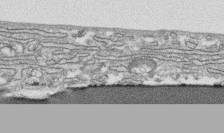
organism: Human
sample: CRL-1474